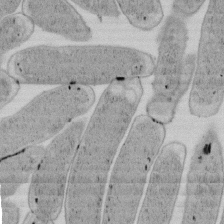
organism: E. coli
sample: Bacterial nucleoid